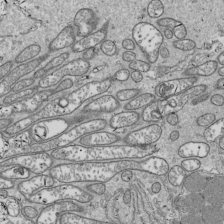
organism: Drosophila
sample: Cell division; meiosis; drosophila spermatocytes